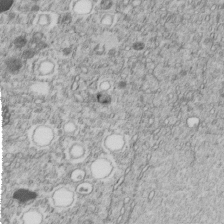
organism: C. elegans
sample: C. elegans embryo early stage